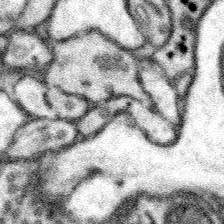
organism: Mouse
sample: Somatosensory cortex neuropil